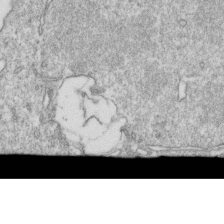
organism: Mouse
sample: Activated OT-1 CD8+ T cells